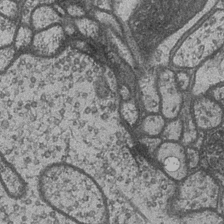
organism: Drosophila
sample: Optic medulla